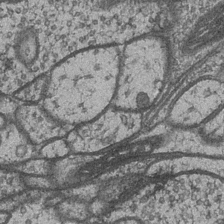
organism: Drosophila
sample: Optic medulla